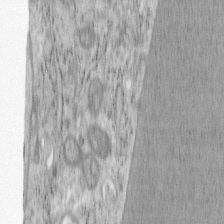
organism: Human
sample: HeLa cells